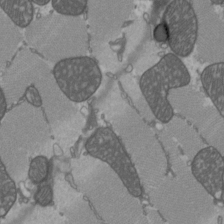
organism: C57BL Mouse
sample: Heart